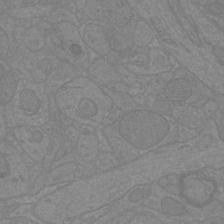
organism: Mouse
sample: Cortical neurons